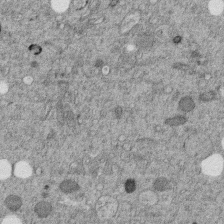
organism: C. elegans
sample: C. elegans embryo early stage